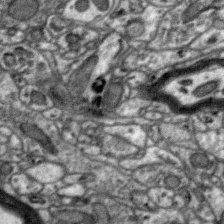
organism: Zebra finch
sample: Brain